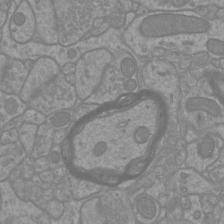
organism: Mouse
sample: Cortical neurons